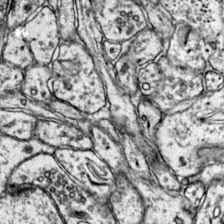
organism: Mouse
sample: Primary visual cortex